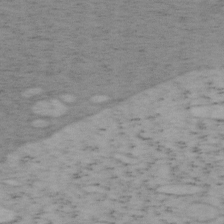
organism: Mouse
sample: OT-I killer T cells with ID8 ovarian cancer cells